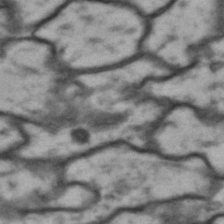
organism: Drosophila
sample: Brain